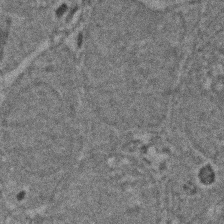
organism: Zebrafish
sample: Zebrafish embryo